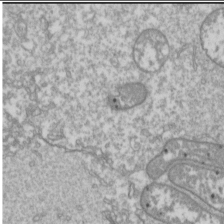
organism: Drosophila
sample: Cell division; meiosis; drosophila spermatocytes